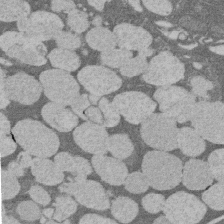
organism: Rat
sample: Salivary granule